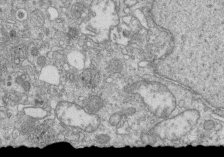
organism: Human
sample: HeLa cell HIV synapse